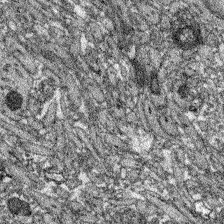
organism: Zebrafish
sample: Larval olfactory bulb